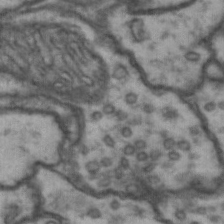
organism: Drosophila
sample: Brain